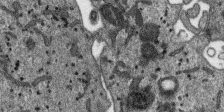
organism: Human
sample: Lung epithelial cells infected with SARS-CoV-2